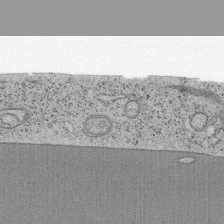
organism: Human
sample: HeLa cells